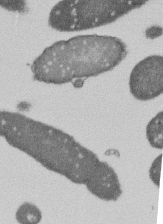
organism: E. coli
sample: Bacterial nucleoid